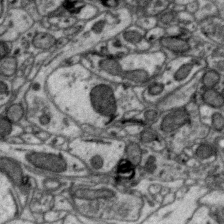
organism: Zebra finch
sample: Brain